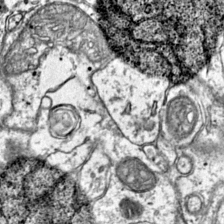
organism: Mouse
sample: Primary visual cortex